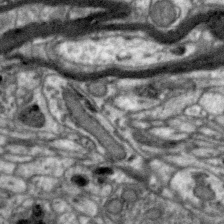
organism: Zebra finch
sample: Brain